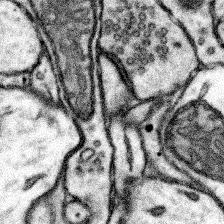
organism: Mouse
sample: Somatosensory cortex neuropil